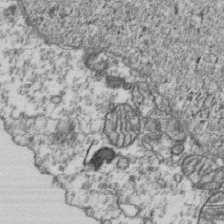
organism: Human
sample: Activated Jurkat CD4+ T cells